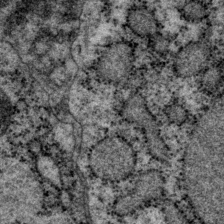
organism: P. pacificus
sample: Pharynx